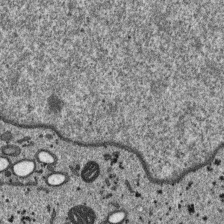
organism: Human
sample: Lung epithelial cells infected with SARS-CoV-2